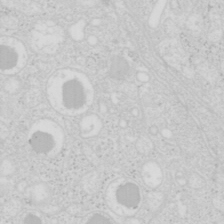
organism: Mouse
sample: Pancreas